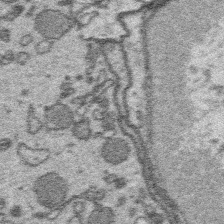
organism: Platynereis dumerilii